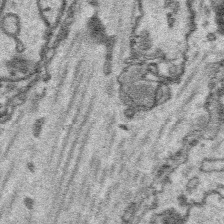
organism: Platynereis dumerilii